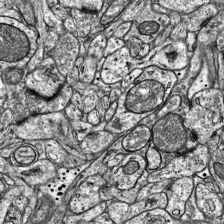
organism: Mouse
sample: Visual Cortex